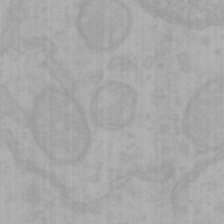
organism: Mouse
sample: Choroid plexus